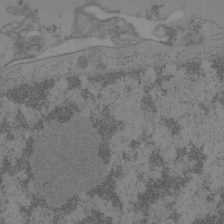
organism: Human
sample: HeLa cells